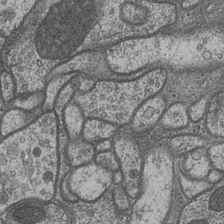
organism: Drosophila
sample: Optic medulla